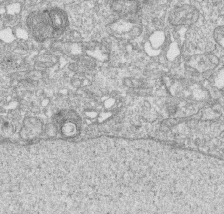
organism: Human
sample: HeLa cell HIV synapse